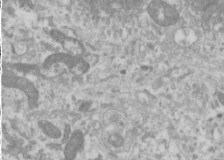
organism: Human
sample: Cilia; basal body in RPE cells